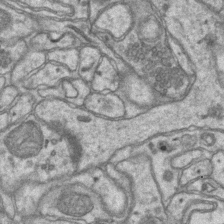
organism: Mouse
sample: CA1 Hippocampus